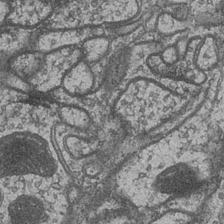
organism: Drosophila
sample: Optic medulla